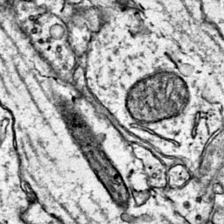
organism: Mouse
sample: Primary visual cortex